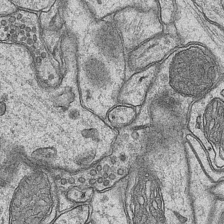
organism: Mouse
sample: CA1 Hippocampus